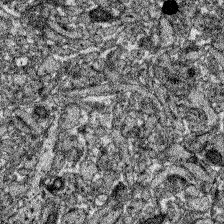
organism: Zebrafish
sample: Larval olfactory bulb